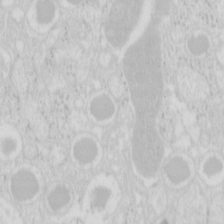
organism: Mouse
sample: Pancreas